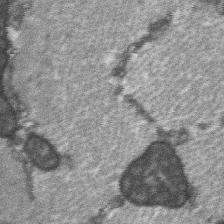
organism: C57BL Mouse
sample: Soleus